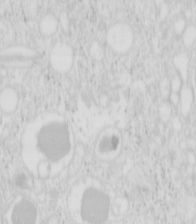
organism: Mouse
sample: Pancreas